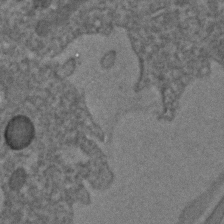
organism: C. elegans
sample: C. elegans embryo